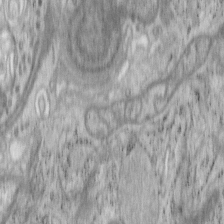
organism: Human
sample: HeLa cells